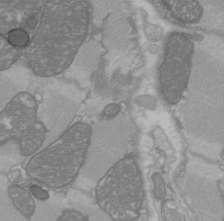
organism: C57BL Mouse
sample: Heart